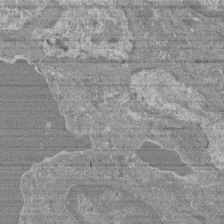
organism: Mouse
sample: Glomerulus